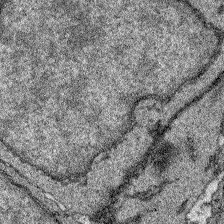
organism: Zebrafish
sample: Larval olfactory bulb